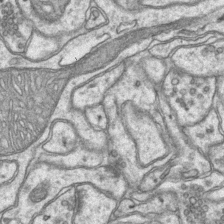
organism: Mouse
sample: CA1 Hippocampus